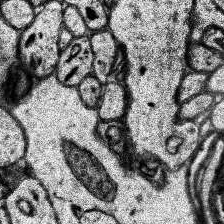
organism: Human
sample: Temporal Lobe